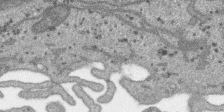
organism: Human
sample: Lung epithelial cells infected with SARS-CoV-2